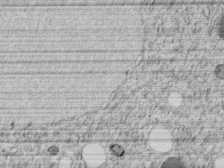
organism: C. elegans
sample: C. elegans embryo early stage